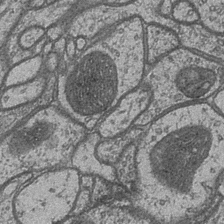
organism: Drosophila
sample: Optic medulla